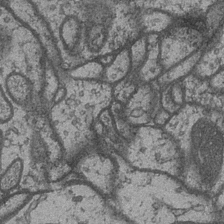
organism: Drosophila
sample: Optic medulla